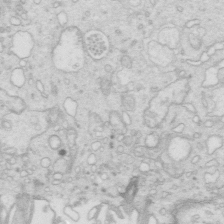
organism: Mouse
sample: Multiciliated cells